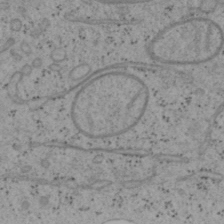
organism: Human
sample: HeLa cells